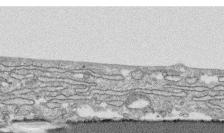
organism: Human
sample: CRL-1474